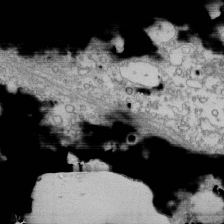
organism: Human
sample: Fibroblast cells